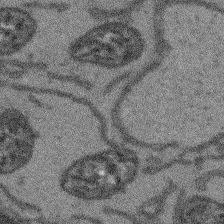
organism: Arabidopsis thaliana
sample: Root tip